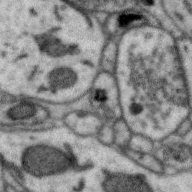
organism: Zebra finch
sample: Brain